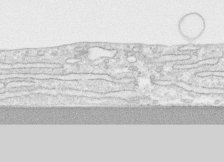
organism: Human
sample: CRL-1474